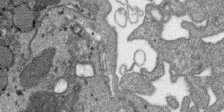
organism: Human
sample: Lung epithelial cells infected with SARS-CoV-2